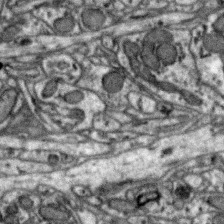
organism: Zebra finch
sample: Brain